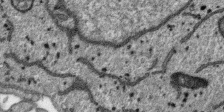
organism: Human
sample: Lung epithelial cells, uninfected (mock) control